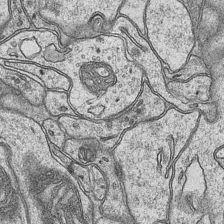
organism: Mouse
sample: CA1 Hippocampus